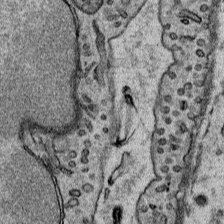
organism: Mouse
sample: Mouse Salivary gland